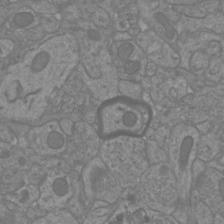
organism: Mouse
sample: Cortical neurons